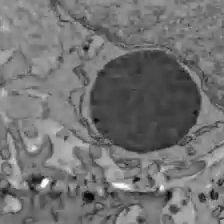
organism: C57BL Mouse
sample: Liver